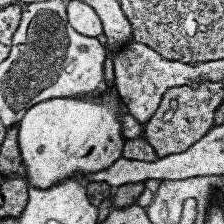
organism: Human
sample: Temporal Lobe